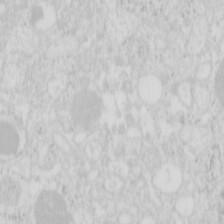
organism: Mouse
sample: Pancreas